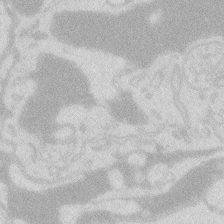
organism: Zebrafish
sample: Macrophage